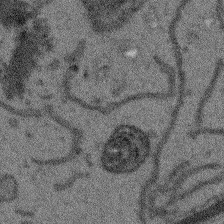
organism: Arabidopsis thaliana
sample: Root tip